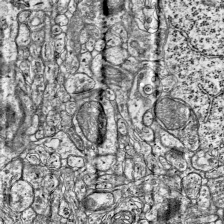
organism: Mouse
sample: Visual Cortex